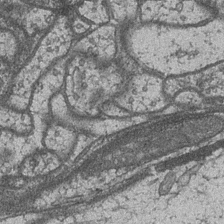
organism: Drosophila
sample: Optic medulla